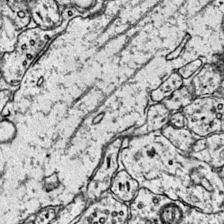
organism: Mouse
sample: Primary visual cortex